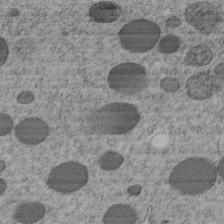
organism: C. elegans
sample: C. elegans embryo early stage